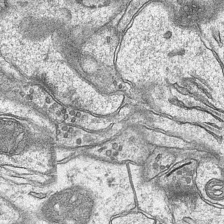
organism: Mouse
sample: CA1 Hippocampus